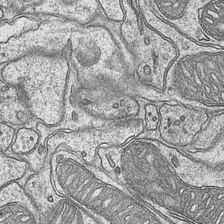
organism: Mouse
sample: CA1 Hippocampus